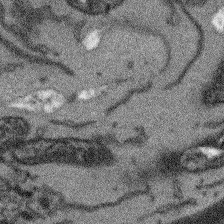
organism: Arabidopsis thaliana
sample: Root tip